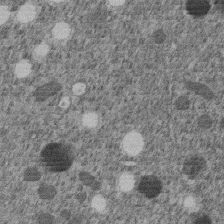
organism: C. elegans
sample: C. elegans embryo early stage